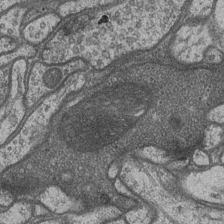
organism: Drosophila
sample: Optic medulla